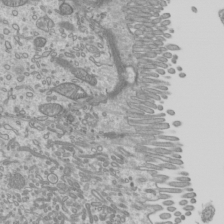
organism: Mouse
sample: Cilia; mouse epididymis